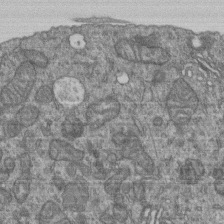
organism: Human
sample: Retinal organoid Rod and Cone cells